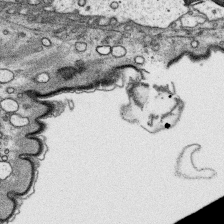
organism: Platynereis dumerilii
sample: Parapodia